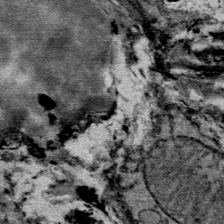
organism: Mouse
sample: Mouse Salivary gland